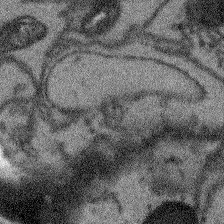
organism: Arabidopsis thaliana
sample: Root tip